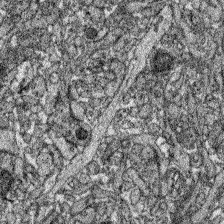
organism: Zebrafish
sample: Larval olfactory bulb